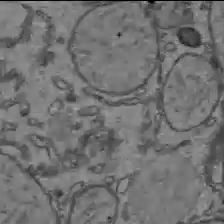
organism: C57BL Mouse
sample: Liver